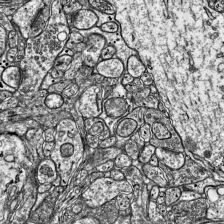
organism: Mouse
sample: Visual Cortex